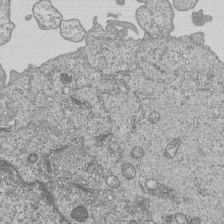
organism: Human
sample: MDA-MB-231 cells